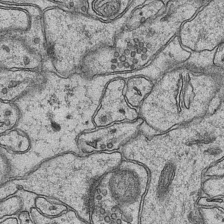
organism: Mouse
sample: CA1 Hippocampus